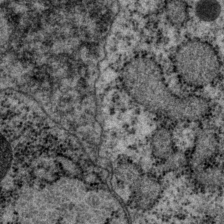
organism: P. pacificus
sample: Pharynx